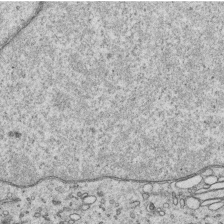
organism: Human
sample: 1205lu cells